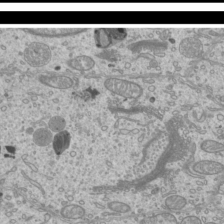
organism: Mouse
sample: Cilia; mouse epididymis